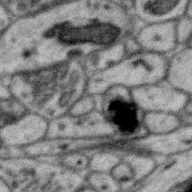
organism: Zebra finch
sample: Brain